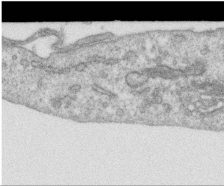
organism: Human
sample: Centriole in RPE cells